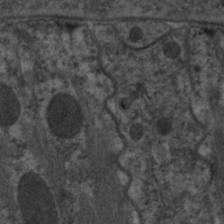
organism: C. elegans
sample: Pharynx